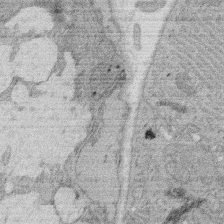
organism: Rat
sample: Salivary granule